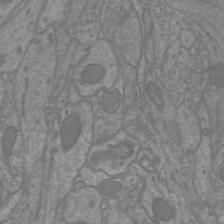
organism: Mouse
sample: Cortical neurons